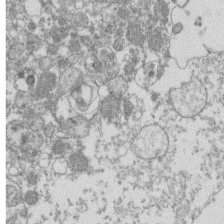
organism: Human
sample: HeLa cell HIV synapse